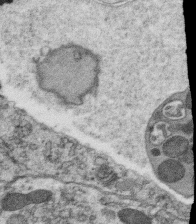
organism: C. elegans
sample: C. elegans oocyte; sperm cells